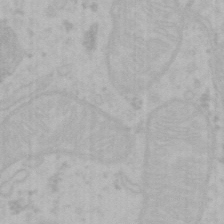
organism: Mouse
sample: Choroid plexus